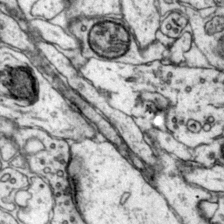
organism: Mouse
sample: Primary visual cortex